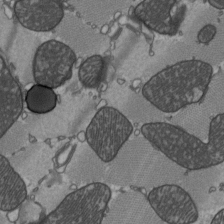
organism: C57BL Mouse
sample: Heart